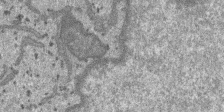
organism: Human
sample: Lung epithelial cells infected with SARS-CoV-2